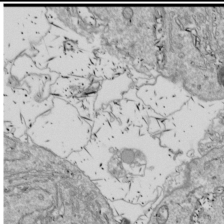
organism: Drosophila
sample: Cell division; meiosis; drosophila spermatocytes